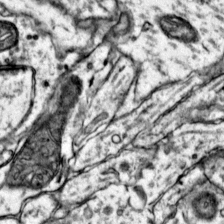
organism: Mouse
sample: Primary visual cortex